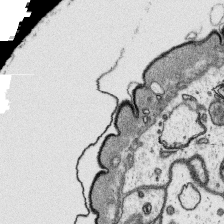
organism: Platynereis dumerilii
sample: Parapodia